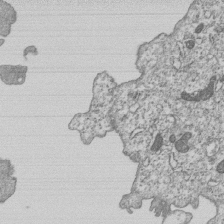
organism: Human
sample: MDA-MB-231 cells